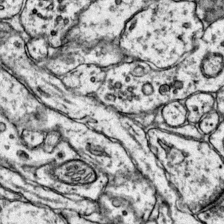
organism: Mouse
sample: Primary visual cortex